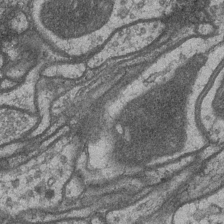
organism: Drosophila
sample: Optic medulla